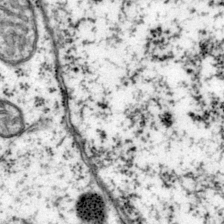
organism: Mouse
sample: Primary visual cortex